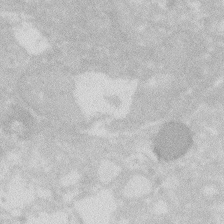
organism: Zebrafish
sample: Macrophage